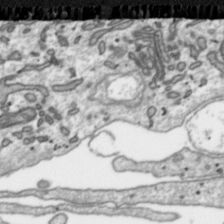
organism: Toxoplasma gondii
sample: Parasites in a vacuole inside a host cell